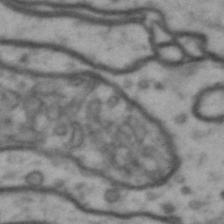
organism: Drosophila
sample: Brain